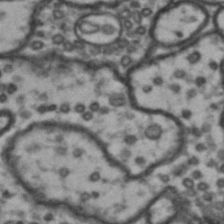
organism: Drosophila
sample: Brain